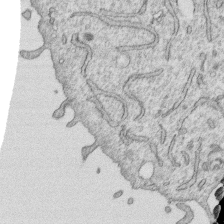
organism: Human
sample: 1205lu cells